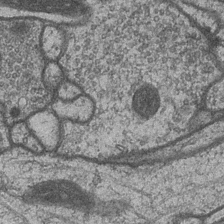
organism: Drosophila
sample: Optic medulla